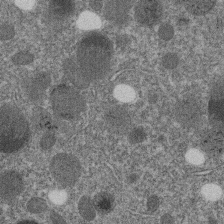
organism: C. elegans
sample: C. elegans embryo early stage